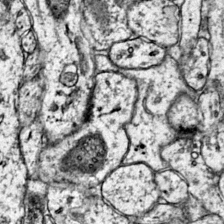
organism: Mouse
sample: Primary visual cortex